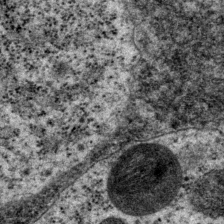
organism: P. pacificus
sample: Pharynx